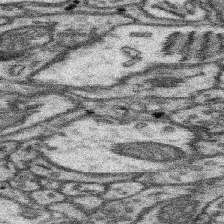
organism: Mouse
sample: Somatosensory cortex neuropil